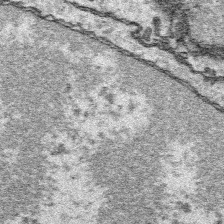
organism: Platynereis dumerilii